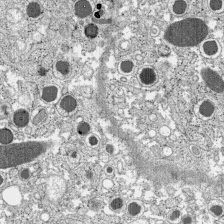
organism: C57BL Mouse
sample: Pancreatic islet